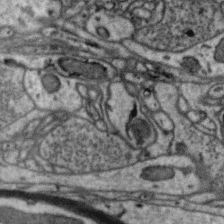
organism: Zebra finch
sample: Brain